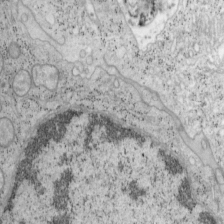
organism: Mouse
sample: OT-I killer T cells with ID8 ovarian cancer cells